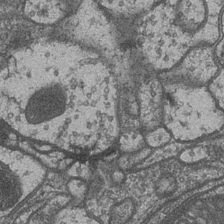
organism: Drosophila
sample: Optic medulla